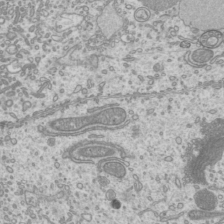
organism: Mouse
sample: Cilia; mouse epididymis